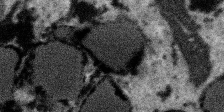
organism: Human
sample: Lung epithelial cells infected with SARS-CoV-2